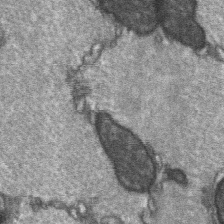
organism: C57BL Mouse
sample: Soleus